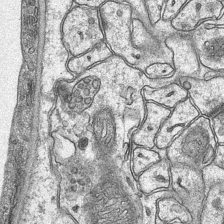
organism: Mouse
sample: CA1 Hippocampus